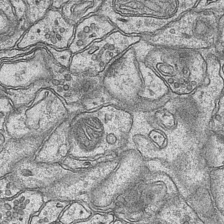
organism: Mouse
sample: CA1 Hippocampus